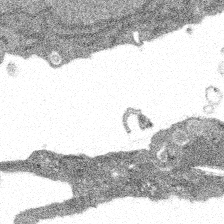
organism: Spongilla lacustris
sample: Multiple